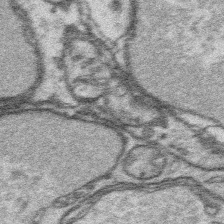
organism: Platynereis dumerilii